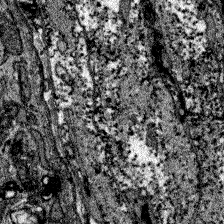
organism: Zebrafish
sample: Larval olfactory bulb